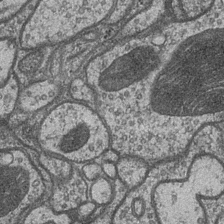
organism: Drosophila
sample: Optic medulla